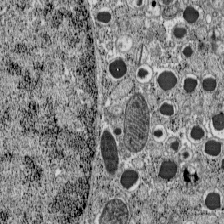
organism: C57BL Mouse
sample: Pancreatic islet